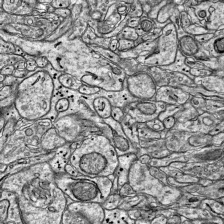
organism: Mouse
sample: Visual Cortex